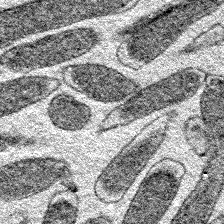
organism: E. coli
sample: E. Coli Bacteria